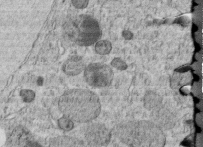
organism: C. elegans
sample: C. elegans embryo early stage